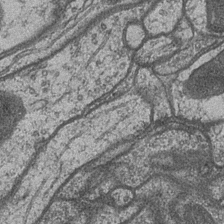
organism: Drosophila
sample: Optic medulla